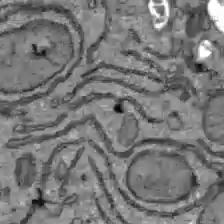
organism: C57BL Mouse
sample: Liver